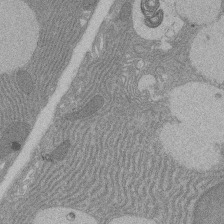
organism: Rat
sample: Salivary granule